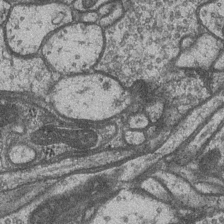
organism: Drosophila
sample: Optic medulla